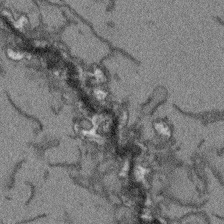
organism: Arabidopsis thaliana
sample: Root tip